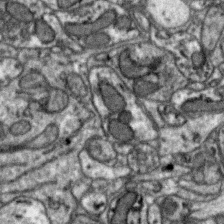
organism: Zebra finch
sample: Brain